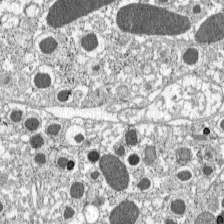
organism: C57BL Mouse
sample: Pancreatic islet